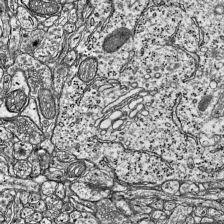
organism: Mouse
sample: Visual Cortex